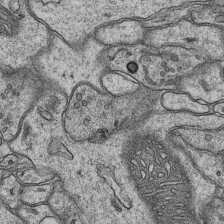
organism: Mouse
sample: CA1 Hippocampus